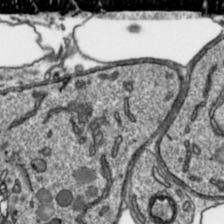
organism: Toxoplasma gondii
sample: Parasites in a vacuole inside a host cell